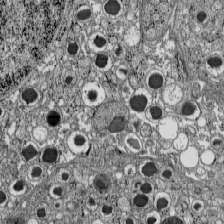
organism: C57BL Mouse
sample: Pancreatic islet